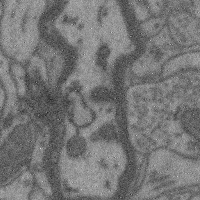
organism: Mouse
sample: Cerebral cortex